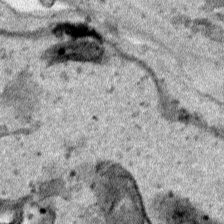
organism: Human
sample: Mitochondria in HCT116 cells